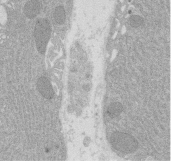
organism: Rat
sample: Salivary granule